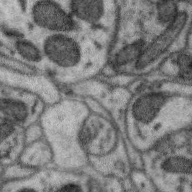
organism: Zebra finch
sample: Brain